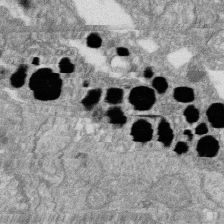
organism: Zebrafish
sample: Cilia; retinal pigment epithelium